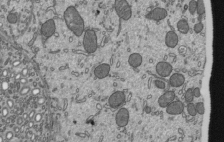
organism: Mouse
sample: Mouse epididymis efferent ductule cilia